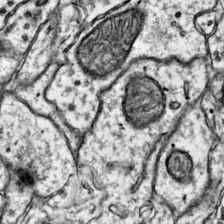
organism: Mouse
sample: Primary visual cortex